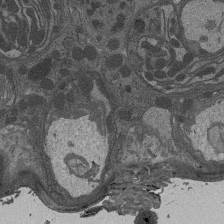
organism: Drosophila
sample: Antenna